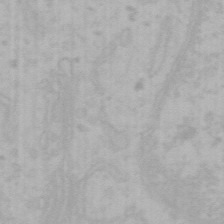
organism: Mouse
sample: Choroid plexus